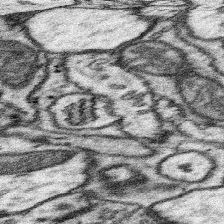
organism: Mouse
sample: Somatosensory cortex neuropil